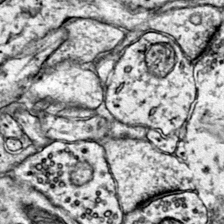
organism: Mouse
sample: Primary visual cortex